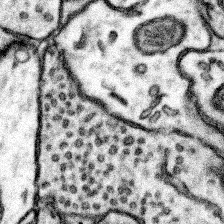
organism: Mouse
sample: Somatosensory cortex neuropil